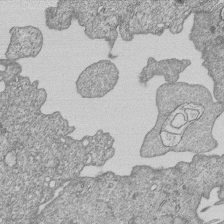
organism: Human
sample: MDA-MB-231 cells